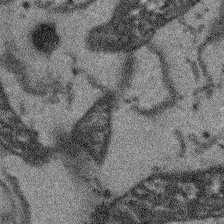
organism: Arabidopsis thaliana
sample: Root tip